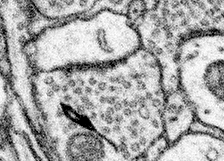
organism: Mouse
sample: Somatosensory cortex neuropil